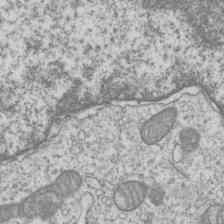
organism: Human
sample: MDA-MB-231 cells